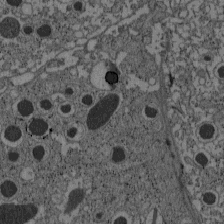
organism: C57BL Mouse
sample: Pancreatic islet